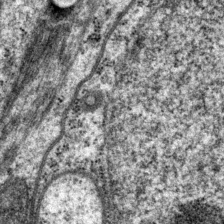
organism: P. pacificus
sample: Pharynx